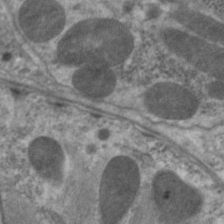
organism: C. elegans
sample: Pharynx